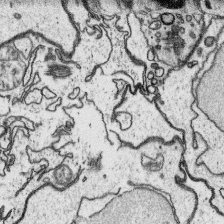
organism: Platynereis dumerilii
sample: Parapodia